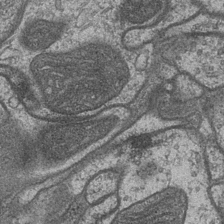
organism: Drosophila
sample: Optic medulla